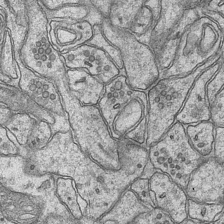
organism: Mouse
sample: CA1 Hippocampus